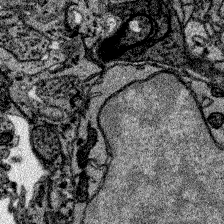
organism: Zebrafish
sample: Larval olfactory bulb